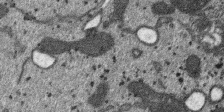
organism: Human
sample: Lung epithelial cells infected with SARS-CoV-2